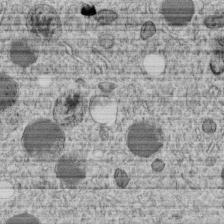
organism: C. elegans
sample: C. elegans embryo early stage